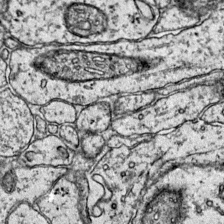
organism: Mouse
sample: Primary visual cortex